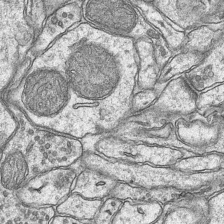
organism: Mouse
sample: CA1 Hippocampus